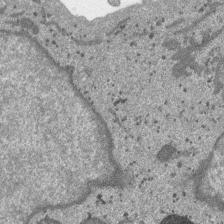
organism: Human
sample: Lung epithelial cells infected with SARS-CoV-2